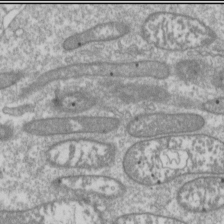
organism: Drosophila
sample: Cell division; meiosis; drosophila spermatocytes